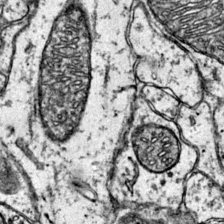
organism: Mouse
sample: Primary visual cortex